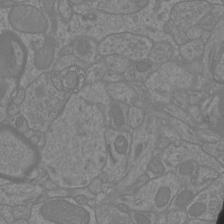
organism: Mouse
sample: Cortical neurons